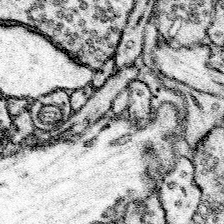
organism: Mouse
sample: Somatosensory cortex neuropil